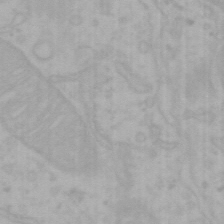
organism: Mouse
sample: Choroid plexus